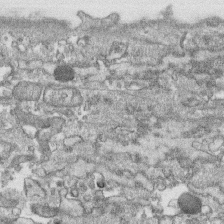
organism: Human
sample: CRL-1474